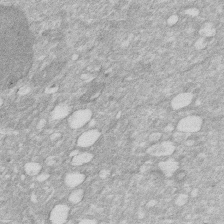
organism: Human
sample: HIV infected U937 cells